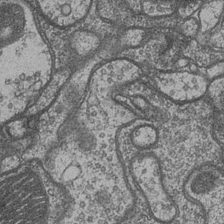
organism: Drosophila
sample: Optic medulla